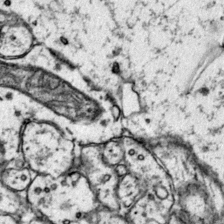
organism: Mouse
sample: Primary visual cortex